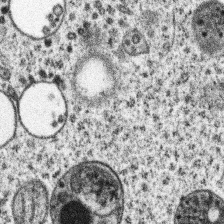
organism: Human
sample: HeLa cells